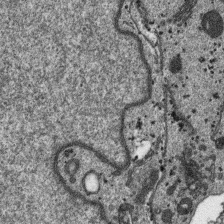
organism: Human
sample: Lung epithelial cells infected with SARS-CoV-2